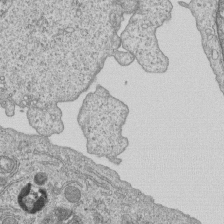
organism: Human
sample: MDA-MB-231 cells